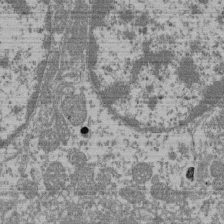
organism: Mouse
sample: Glomerulus